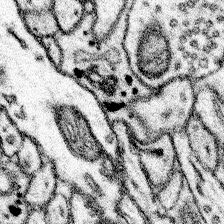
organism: Mouse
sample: Somatosensory cortex neuropil